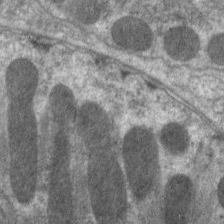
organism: C. elegans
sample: Pharynx